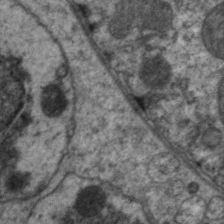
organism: C. elegans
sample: Pharynx